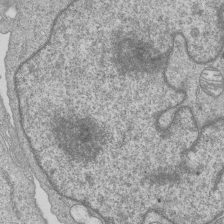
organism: Human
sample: MDA-MB-231 cells